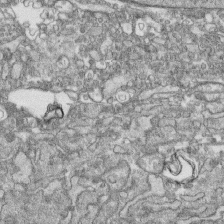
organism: Human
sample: CRL-1474